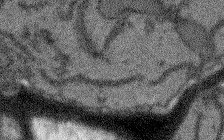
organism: Arabidopsis thaliana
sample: Root tip